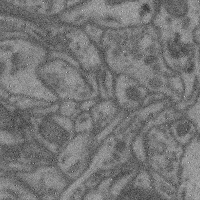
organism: Mouse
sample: Cerebral cortex